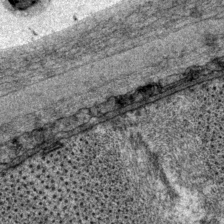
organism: P. pacificus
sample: Pharynx